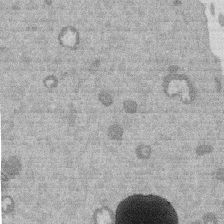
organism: Mouse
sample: Dividing mouse embryo 1 cell stage